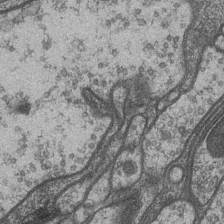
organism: Drosophila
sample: Optic medulla